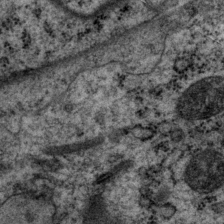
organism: P. pacificus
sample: Pharynx